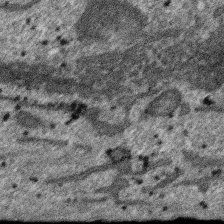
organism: Human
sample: Lung epithelial cells infected with SARS-CoV-2